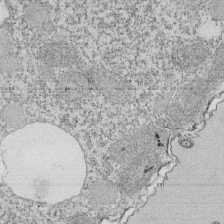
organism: Tetrahymena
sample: Cilia in tetrahymena